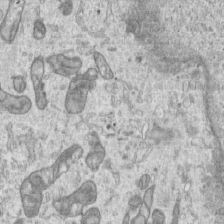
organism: Human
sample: Centriole in RPE cells